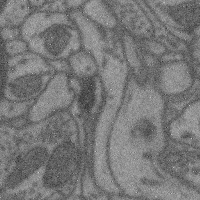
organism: Mouse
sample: Cerebral cortex